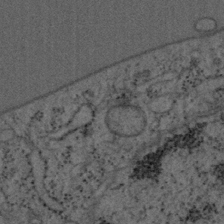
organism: Human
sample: HeLa cells